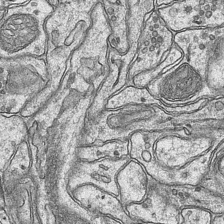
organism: Mouse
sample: CA1 Hippocampus